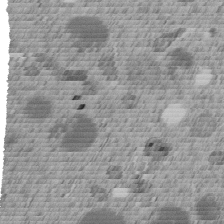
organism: C. elegans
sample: C. elegans embryo early stage